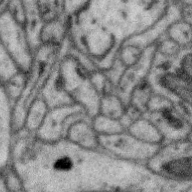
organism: Zebra finch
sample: Brain